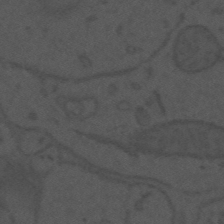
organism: Mouse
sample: Suprachiasmatic nucleus